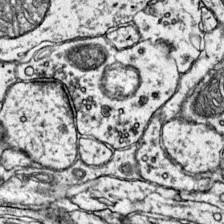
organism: Mouse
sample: Primary visual cortex